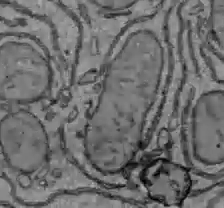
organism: C57BL Mouse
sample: Liver